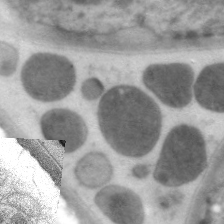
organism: C. elegans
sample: Pharynx